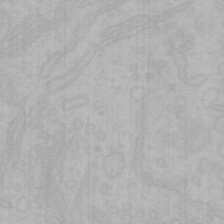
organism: Mouse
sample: Choroid plexus